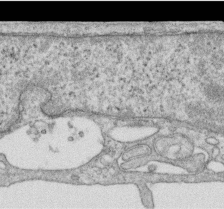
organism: Human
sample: Centriole in RPE cells